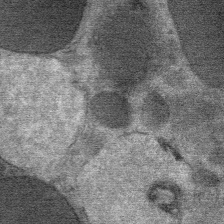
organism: Mouse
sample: Mouse Salivary gland